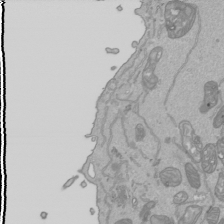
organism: Human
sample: Mitochondria in HCT116 cells